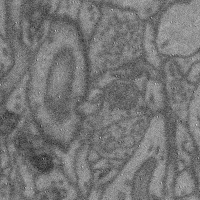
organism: Mouse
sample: Cerebral cortex